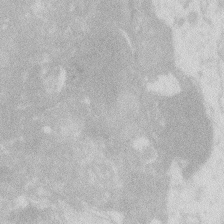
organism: Zebrafish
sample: Macrophage